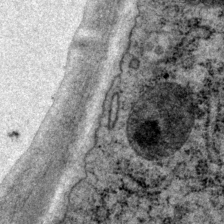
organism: P. pacificus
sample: Pharynx